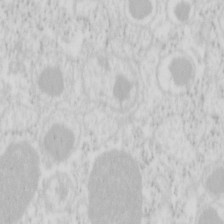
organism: Mouse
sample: Pancreas